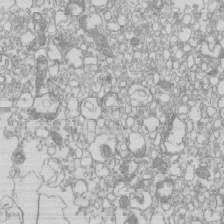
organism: Mouse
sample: Macrophages